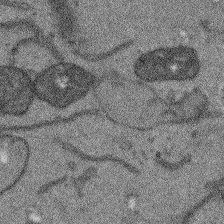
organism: Arabidopsis thaliana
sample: Root tip